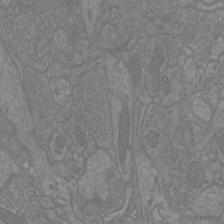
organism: Mouse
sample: Cortical neurons